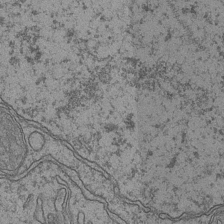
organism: Mouse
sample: CA1 Hippocampus